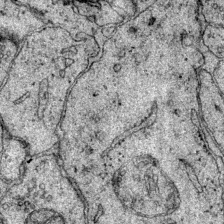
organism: Mouse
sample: Primary visual cortex